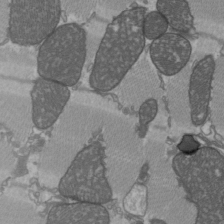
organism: C57BL Mouse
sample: Heart